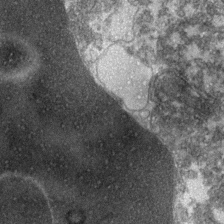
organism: Zebrafish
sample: Zebrafish embryo